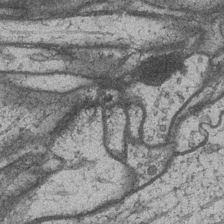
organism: Drosophila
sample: Optic medulla